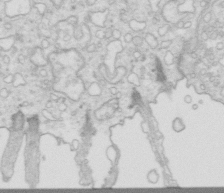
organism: Mouse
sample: Multiciliated cells